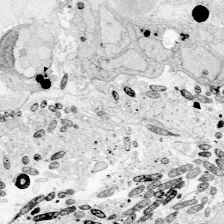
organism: Zebrafish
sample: Whole-Brain